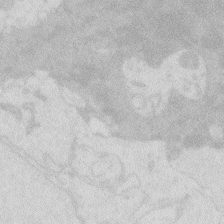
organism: Zebrafish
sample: Macrophage